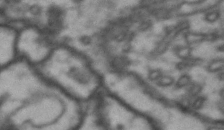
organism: Drosophila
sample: Brain